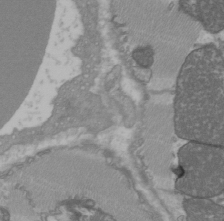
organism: C57BL Mouse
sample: Heart